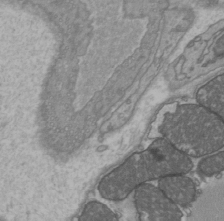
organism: C57BL Mouse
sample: Heart